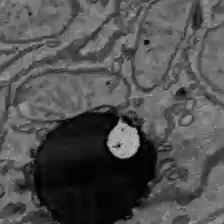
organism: C57BL Mouse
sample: Liver